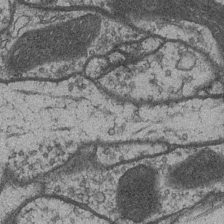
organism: Drosophila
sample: Optic medulla